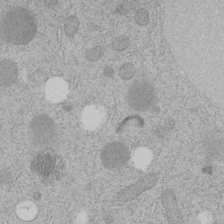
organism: C. elegans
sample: C. elegans embryo early stage